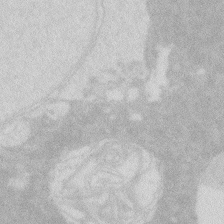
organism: Zebrafish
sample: Macrophage